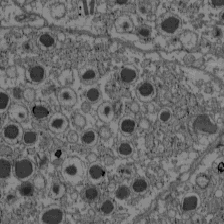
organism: C57BL Mouse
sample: Pancreatic islet